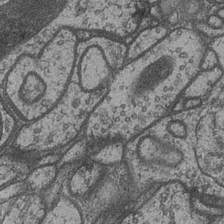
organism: Drosophila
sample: Optic medulla